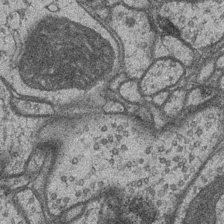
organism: Drosophila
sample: Optic medulla